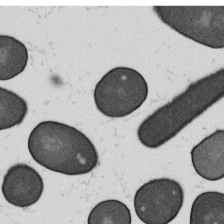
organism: B. subtilis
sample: Bacterial spore